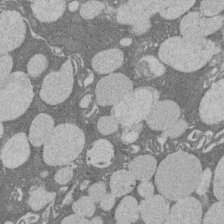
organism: Rat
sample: Salivary granule